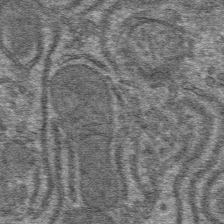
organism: Mouse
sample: Mouse hepatocytes